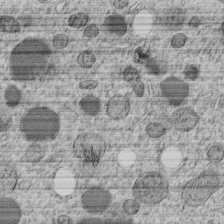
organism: C. elegans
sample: C. elegans embryo early stage